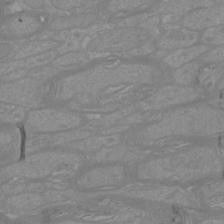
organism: Mouse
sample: Cortical neurons